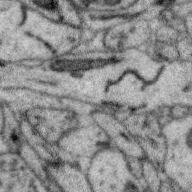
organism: Zebra finch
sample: Brain